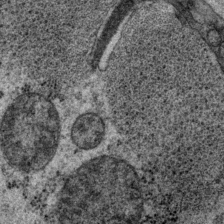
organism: P. pacificus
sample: Pharynx